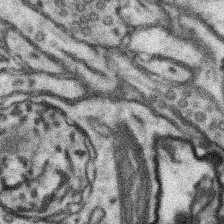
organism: Mouse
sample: Somatosensory cortex neuropil